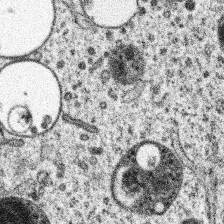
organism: Human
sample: HeLa cells